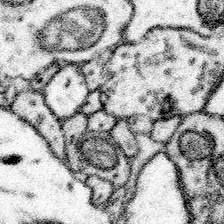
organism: Mouse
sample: Somatosensory cortex neuropil